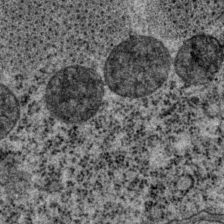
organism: P. pacificus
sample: Pharynx